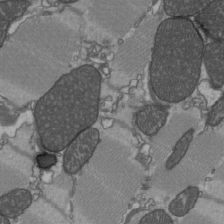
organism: C57BL Mouse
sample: Heart